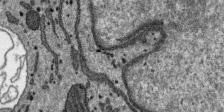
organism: Human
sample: Lung epithelial cells, uninfected (mock) control